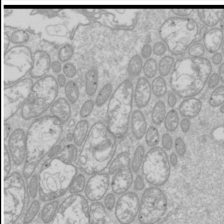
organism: Drosophila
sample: Cell division; meiosis; drosophila spermatocytes